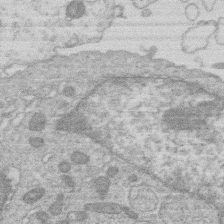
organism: Human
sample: Macrophage cells